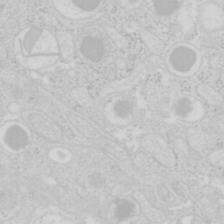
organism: Mouse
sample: Pancreas